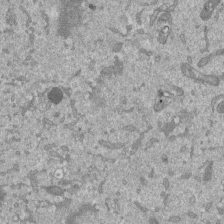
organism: Mouse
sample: ED-1 cell nuclei; centrioles